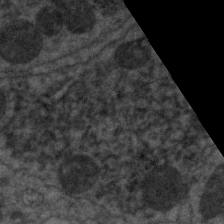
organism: C. elegans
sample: Pharynx